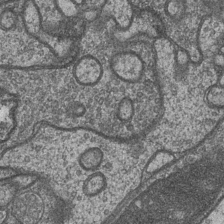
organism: Drosophila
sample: Optic medulla